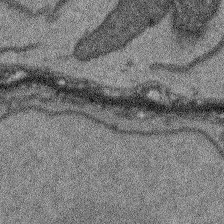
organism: Arabidopsis thaliana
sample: Root tip